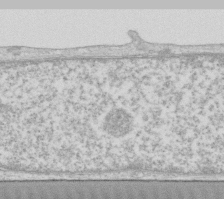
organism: Human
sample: Fibroblast cells